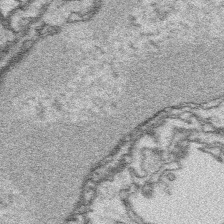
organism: Platynereis dumerilii